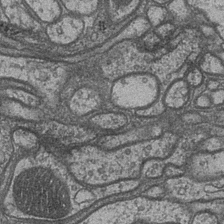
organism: Drosophila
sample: Optic medulla